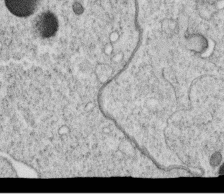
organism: C. elegans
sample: C. elegans oocyte; sperm cells